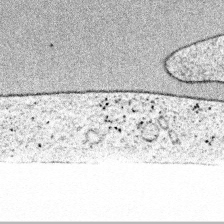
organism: Human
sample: HeLa cells